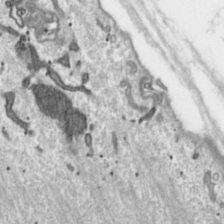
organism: Toxoplasma gondii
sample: Parasites in a vacuole inside a host cell